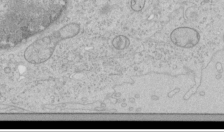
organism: Human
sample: Mitochondria in HCT116 cells